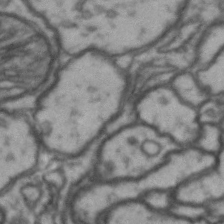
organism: Drosophila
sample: Brain